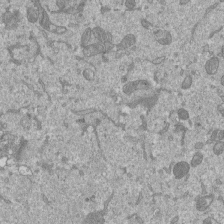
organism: Mouse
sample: ED-1 cell nuclei; centrioles